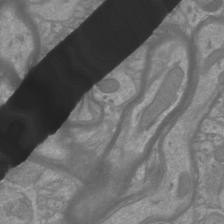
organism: Mouse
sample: Cortical neurons